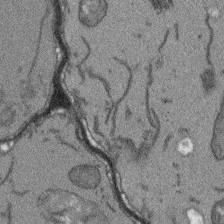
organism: Arabidopsis thaliana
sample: Root tip